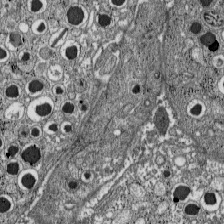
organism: C57BL Mouse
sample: Pancreatic islet